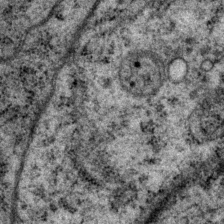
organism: P. pacificus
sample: Pharynx